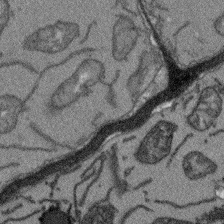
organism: Arabidopsis thaliana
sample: Root tip